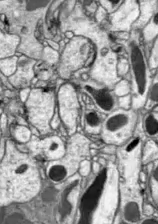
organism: Drosophila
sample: Optic lobe